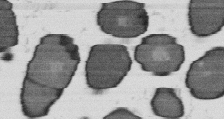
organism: B. subtilis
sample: Bacterial spore